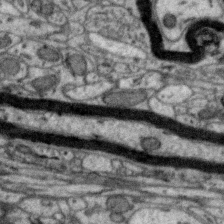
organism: Zebra finch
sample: Brain